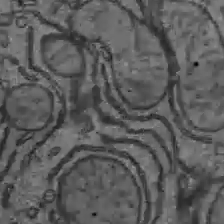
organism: C57BL Mouse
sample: Liver